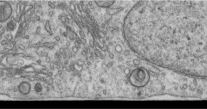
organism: Human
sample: Centriole in RPE cells